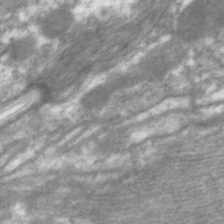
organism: C. elegans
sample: Pharynx